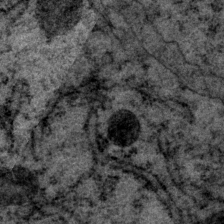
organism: P. pacificus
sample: Pharynx